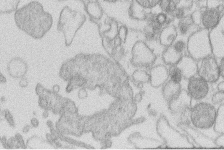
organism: Human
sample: Macrophage cells